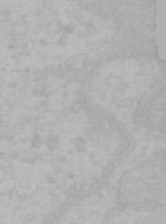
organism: Mouse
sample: Choroid plexus